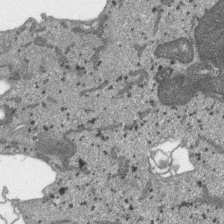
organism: Human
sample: Lung epithelial cells infected with SARS-CoV-2